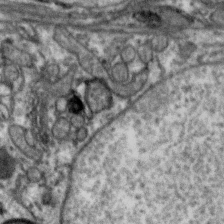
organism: Zebra finch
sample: Brain